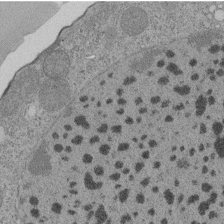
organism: Tetrahymena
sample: Cilia in tetrahymena